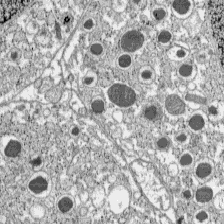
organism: C57BL Mouse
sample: Pancreatic islet